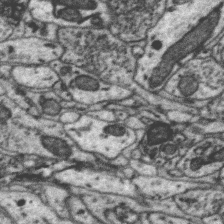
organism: Zebra finch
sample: Brain